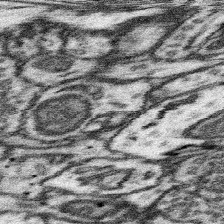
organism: Mouse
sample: Somatosensory cortex neuropil